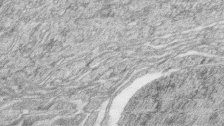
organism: Zebrafish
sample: synaptic ribbons in rod cells and cone cells